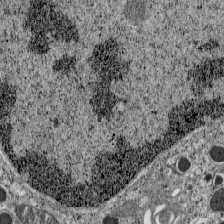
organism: C57BL Mouse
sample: Pancreatic islet